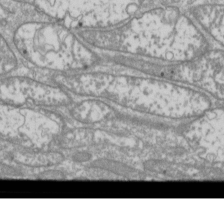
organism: Drosophila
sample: Cell division; meiosis; drosophila spermatocytes